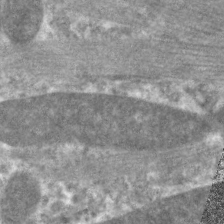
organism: C. elegans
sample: Pharynx